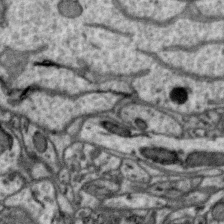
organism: Zebra finch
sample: Brain